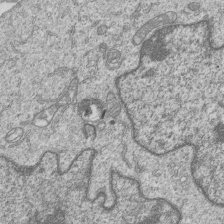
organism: Human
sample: MDA-MB-231 cells